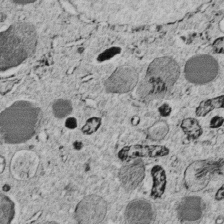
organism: C. elegans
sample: C. elegans embryo early stage